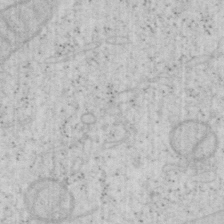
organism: Human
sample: HeLa cells